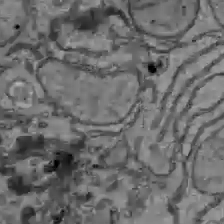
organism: C57BL Mouse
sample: Liver